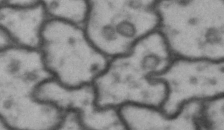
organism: Drosophila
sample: Brain